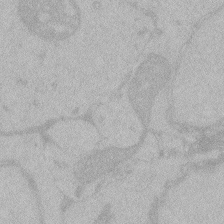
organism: Zebrafish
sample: Macrophage infected with Toxoplasma gondii